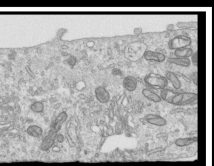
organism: Human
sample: Centriole in RPE cells